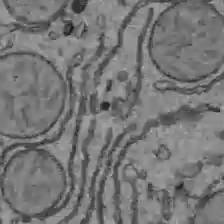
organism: C57BL Mouse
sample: Liver